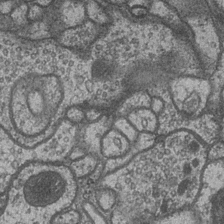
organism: Drosophila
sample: Optic medulla